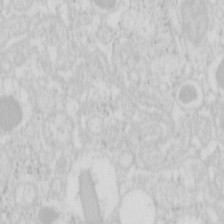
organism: Mouse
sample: Pancreas